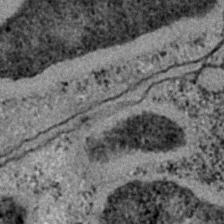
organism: C. elegans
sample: C. elegans embryo